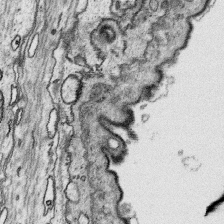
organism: Platynereis dumerilii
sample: Parapodia